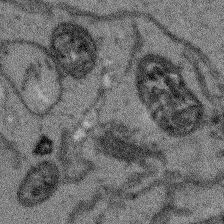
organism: Arabidopsis thaliana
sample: Root tip